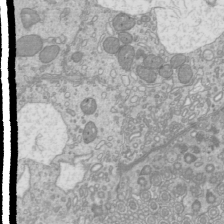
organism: Mouse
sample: Cilia; mouse epididymis